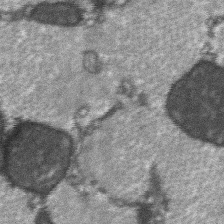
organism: C57BL Mouse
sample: Soleus